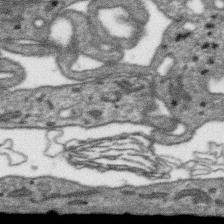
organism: Human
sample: Lung epithelial cells infected with SARS-CoV-2